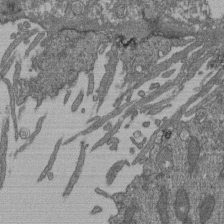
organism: Human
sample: Retinal organoid Rod and Cone cells